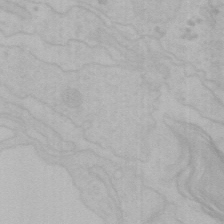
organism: Mouse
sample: Choroid plexus